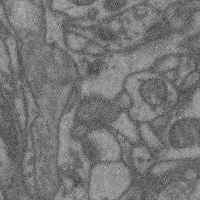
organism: Mouse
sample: Cerebral cortex